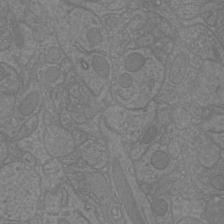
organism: Mouse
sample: Cortical neurons